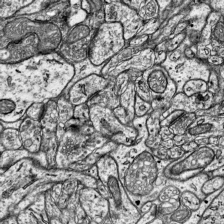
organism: Mouse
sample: Visual Cortex